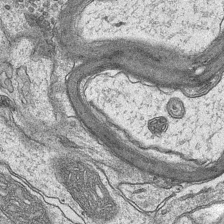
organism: Mouse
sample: CA1 Hippocampus